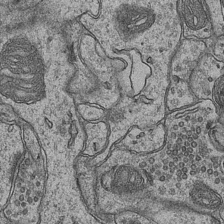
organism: Mouse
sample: CA1 Hippocampus